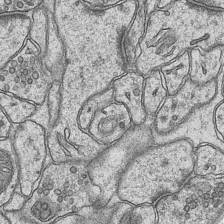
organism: Mouse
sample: CA1 Hippocampus